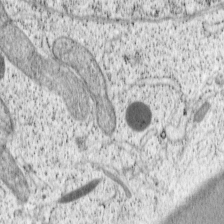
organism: African green monkey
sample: COS-7 cells